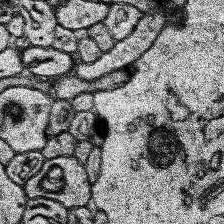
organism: Human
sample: Temporal Lobe